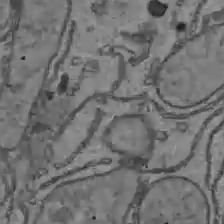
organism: C57BL Mouse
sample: Liver